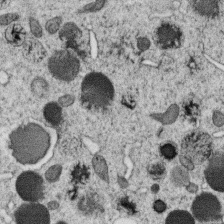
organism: C. elegans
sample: C. elegans oocyte; sperm cells